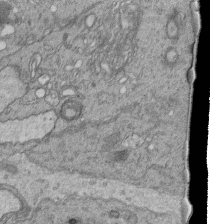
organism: Human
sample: Retinal organoid Rod and Cone cells